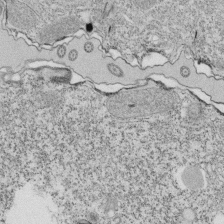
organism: Tetrahymena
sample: Cilia in tetrahymena